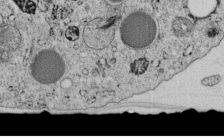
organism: C. elegans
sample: C. elegans embryo early stage